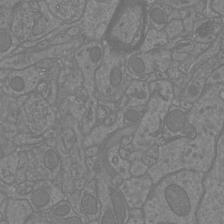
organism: Mouse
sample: Cortical neurons